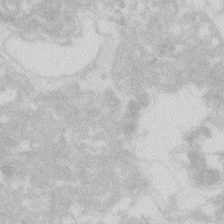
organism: Zebrafish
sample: Macrophage